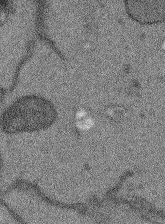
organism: Arabidopsis thaliana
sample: Root tip